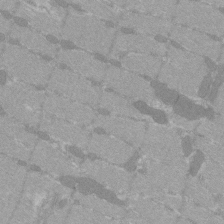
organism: C57BL Mouse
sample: Tibialis anterior muscle cell